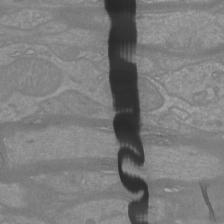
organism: Mouse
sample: Cortical neurons